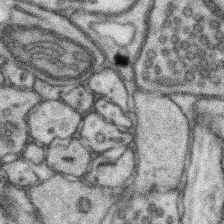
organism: Mouse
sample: Somatosensory cortex neuropil